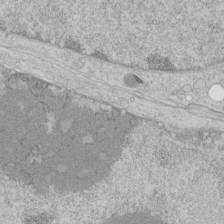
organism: Human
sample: Mitochondria in HCT116 cells